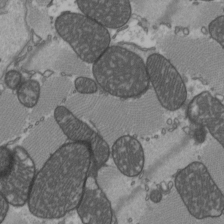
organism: C57BL Mouse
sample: Heart